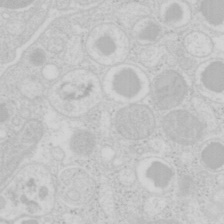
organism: Mouse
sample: Pancreas